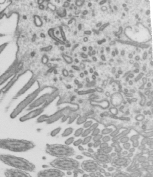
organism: Mouse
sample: Mouse epididymis efferent ductule cilia